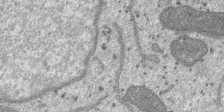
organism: Human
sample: Lung epithelial cells infected with SARS-CoV-2